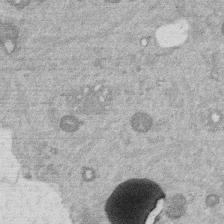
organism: Mouse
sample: Dividing mouse embryo 1 cell stage